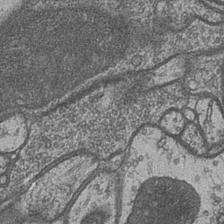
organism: Drosophila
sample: Optic medulla